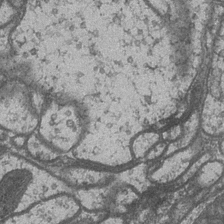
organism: Drosophila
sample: Optic medulla